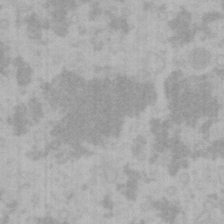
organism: Mouse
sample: Choroid plexus